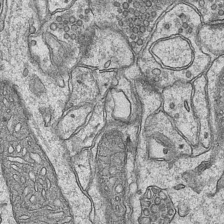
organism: Mouse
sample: CA1 Hippocampus